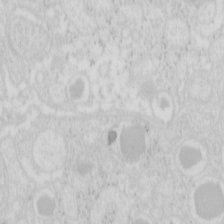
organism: Mouse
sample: Pancreas